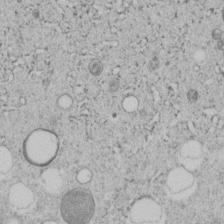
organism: C. elegans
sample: C. elegans embryo early stage